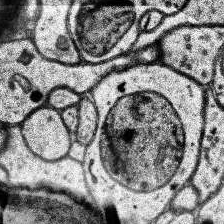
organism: Human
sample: Temporal Lobe